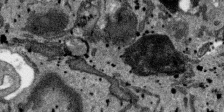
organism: Human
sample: Lung epithelial cells, uninfected (mock) control